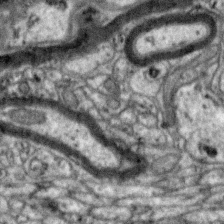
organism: Zebra finch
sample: Brain